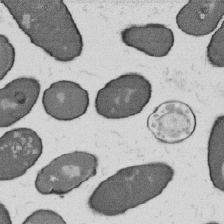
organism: B. subtilis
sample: Bacterial spore